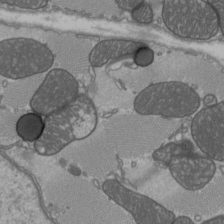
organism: C57BL Mouse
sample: Heart